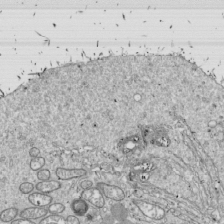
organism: Drosophila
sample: Cell division; meiosis; drosophila spermatocytes